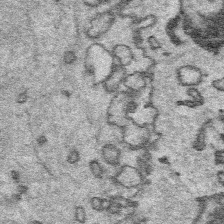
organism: Platynereis dumerilii